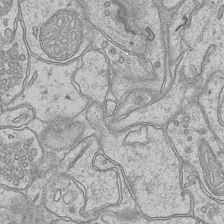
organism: Mouse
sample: CA1 Hippocampus